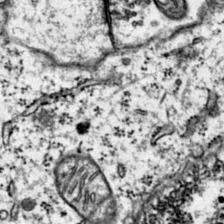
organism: Mouse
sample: Primary visual cortex